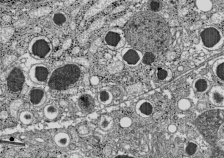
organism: C57BL Mouse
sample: Pancreatic islet